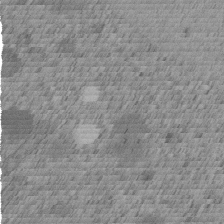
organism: C. elegans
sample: C. elegans embryo early stage